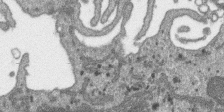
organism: Human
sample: Lung epithelial cells infected with SARS-CoV-2